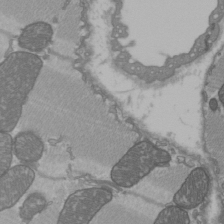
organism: C57BL Mouse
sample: Heart